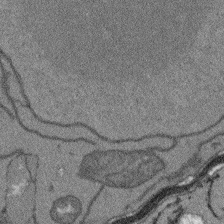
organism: Arabidopsis thaliana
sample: Root tip